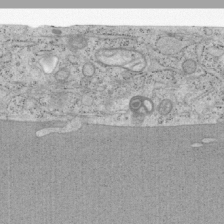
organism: Human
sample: HeLa cells